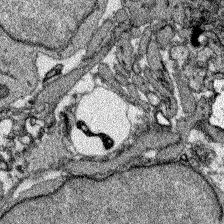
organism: Zebrafish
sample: Larval olfactory bulb